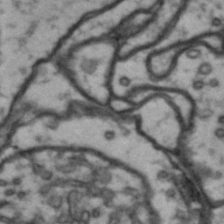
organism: Drosophila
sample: Brain